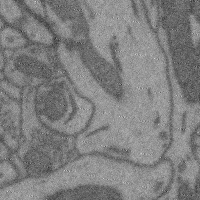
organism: Mouse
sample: Cerebral cortex